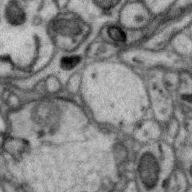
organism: Zebra finch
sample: Brain